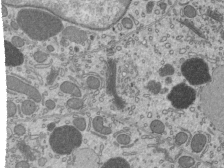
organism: Mouse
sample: Mouse epididymis efferent ductule cilia